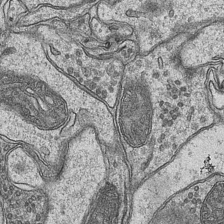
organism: Mouse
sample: CA1 Hippocampus